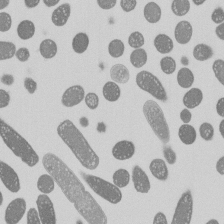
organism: E. coli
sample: Bacterial nucleoid